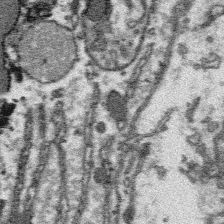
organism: Platynereis dumerilii